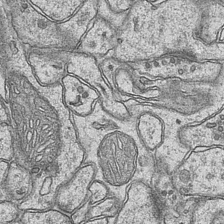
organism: Mouse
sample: CA1 Hippocampus